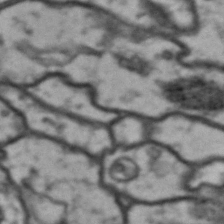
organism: Drosophila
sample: Brain